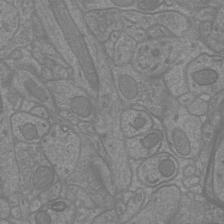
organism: Mouse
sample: Cortical neurons